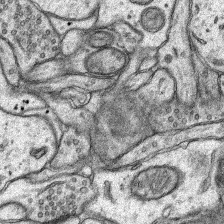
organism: Rat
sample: Hippocampus